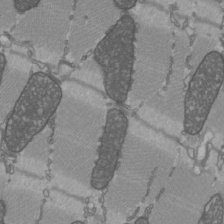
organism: C57BL Mouse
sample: Heart